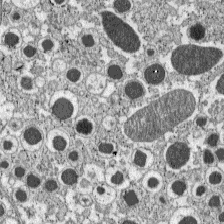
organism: C57BL Mouse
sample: Pancreatic islet